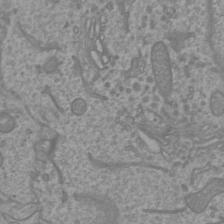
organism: Mouse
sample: Cortical neurons